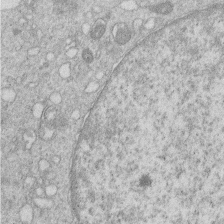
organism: Human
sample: Macrophage cells